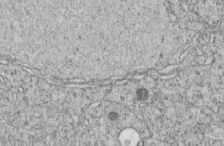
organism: C. elegans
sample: C. elegans embryo early stage